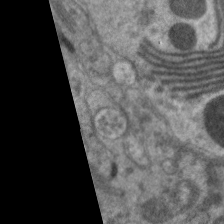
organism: C. elegans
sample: Pharynx